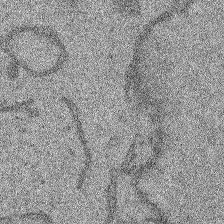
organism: Human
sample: HeLa cells